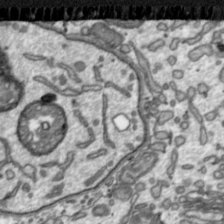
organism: Toxoplasma gondii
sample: Parasites in a vacuole inside a host cell